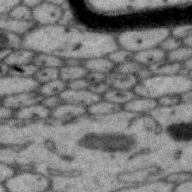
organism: Zebra finch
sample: Brain